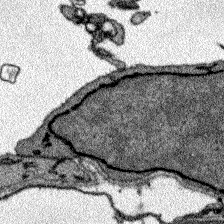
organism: Zebrafish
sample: Larval olfactory bulb